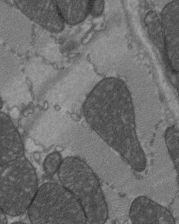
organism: C57BL Mouse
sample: Heart